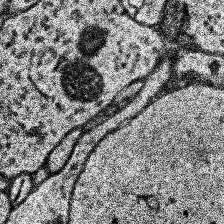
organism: Human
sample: Temporal Lobe